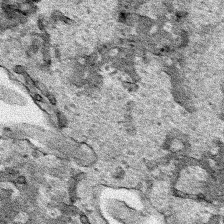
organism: Human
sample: Mitochondria in HCT116 cells